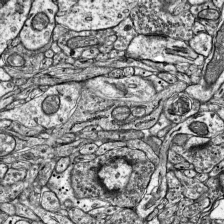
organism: Mouse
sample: Visual Cortex